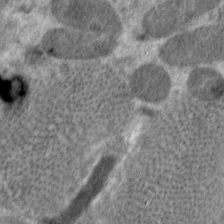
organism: C. elegans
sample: Pharynx